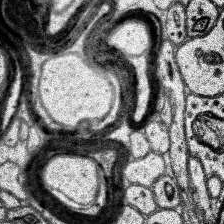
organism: Human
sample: Temporal Lobe